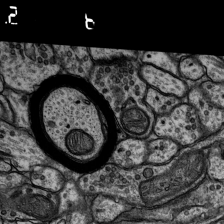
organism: Rat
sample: Hippocampus